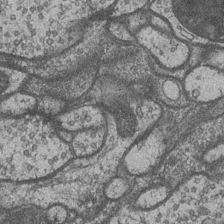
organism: Drosophila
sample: Optic medulla